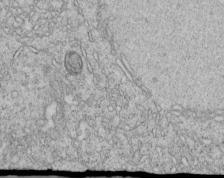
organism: C. elegans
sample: C. elegans embryo early stage